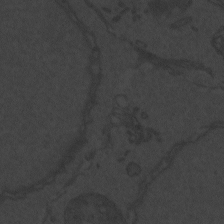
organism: Zebrafish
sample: Macrophage infected with Toxoplasma gondii